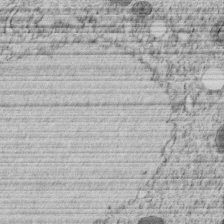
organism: C. elegans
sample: C. elegans embryo early stage